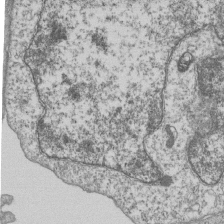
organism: Human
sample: MDA-MB-231 cells